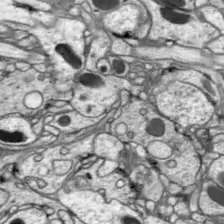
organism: Drosophila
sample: Optic lobe